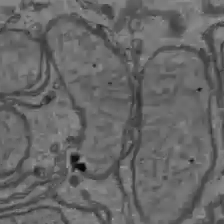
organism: C57BL Mouse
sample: Liver